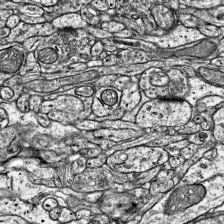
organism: Mouse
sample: Visual Cortex